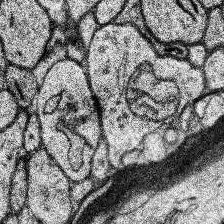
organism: Human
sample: Temporal Lobe